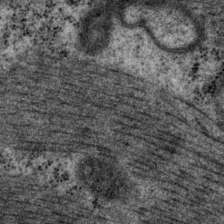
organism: P. pacificus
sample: Pharynx